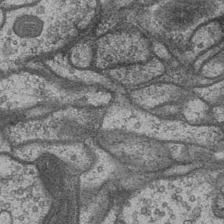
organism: Drosophila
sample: Optic medulla